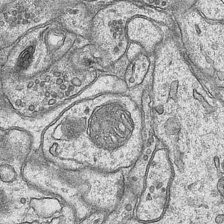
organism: Mouse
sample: CA1 Hippocampus